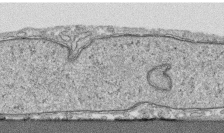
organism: Human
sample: CRL-1474